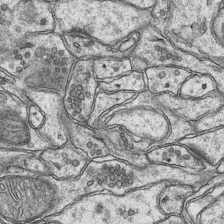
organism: Mouse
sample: CA1 Hippocampus